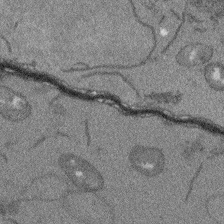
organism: Arabidopsis thaliana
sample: Root tip